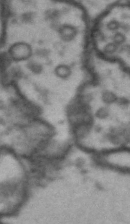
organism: Drosophila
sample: Brain